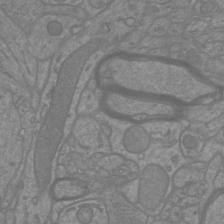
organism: Mouse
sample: Cortical neurons